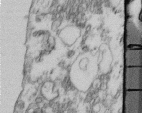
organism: Human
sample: Centriole in fibroblast cells